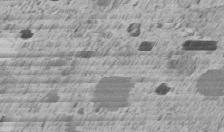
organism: C. elegans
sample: C. elegans embryo early stage